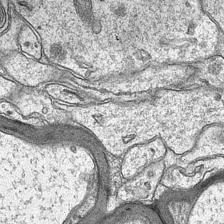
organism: Mouse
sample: CA1 Hippocampus